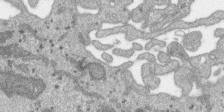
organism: Human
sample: Lung epithelial cells infected with SARS-CoV-2